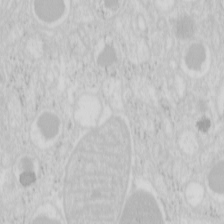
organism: Mouse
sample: Pancreas